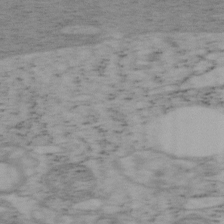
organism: Mouse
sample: OT-I killer T cells with ID8 ovarian cancer cells